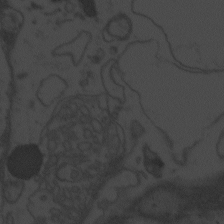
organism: Zebrafish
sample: Macrophage infected with Toxoplasma gondii